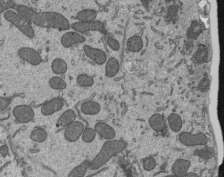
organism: Mouse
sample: Mouse epididymis efferent ductule cilia